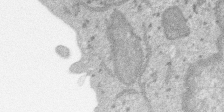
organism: Human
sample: Lung epithelial cells infected with SARS-CoV-2